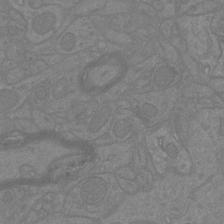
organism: Mouse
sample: Cortical neurons